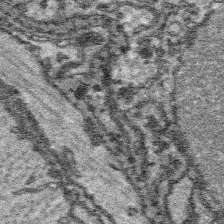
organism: Platynereis dumerilii